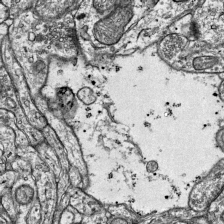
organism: Mouse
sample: Visual Cortex